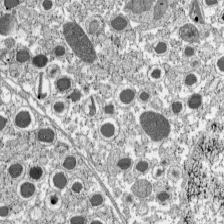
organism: C57BL Mouse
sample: Pancreatic islet